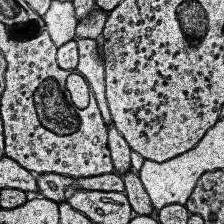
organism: Human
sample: Temporal Lobe